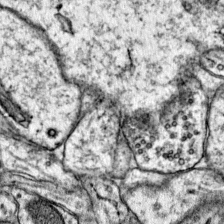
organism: Mouse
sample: Primary visual cortex